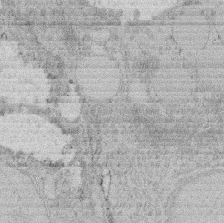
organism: Rat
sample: Salivary granule